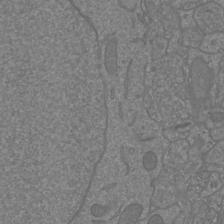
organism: Mouse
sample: Cortical neurons